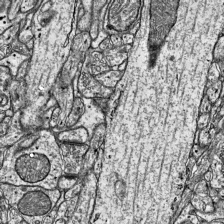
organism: Mouse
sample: Visual Cortex